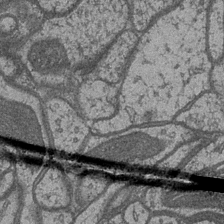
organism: Drosophila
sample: Optic medulla